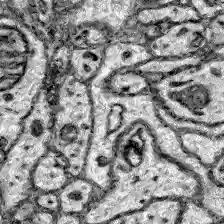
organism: Zebrafish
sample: Brain